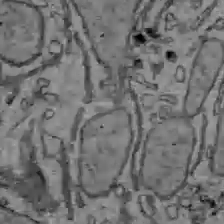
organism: C57BL Mouse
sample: Liver